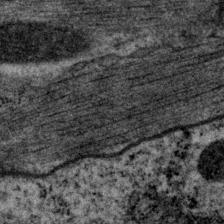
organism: P. pacificus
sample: Pharynx